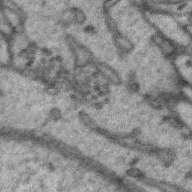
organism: Zebra finch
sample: Brain